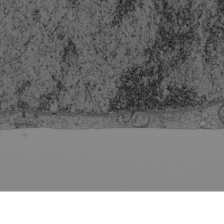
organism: African green monkey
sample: COS-7 cells